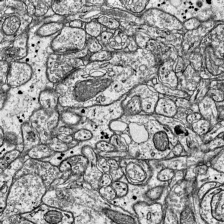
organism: Mouse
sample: Visual Cortex